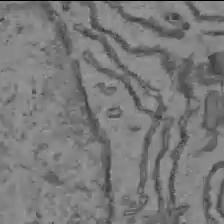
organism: C57BL Mouse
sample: Liver